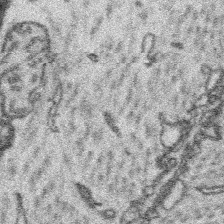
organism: Platynereis dumerilii